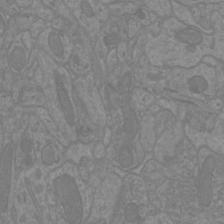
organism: Mouse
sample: Cortical neurons